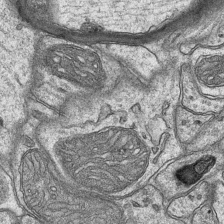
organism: Mouse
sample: CA1 Hippocampus